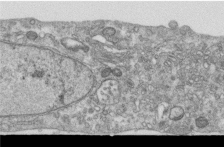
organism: Human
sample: Centriole in RPE cells